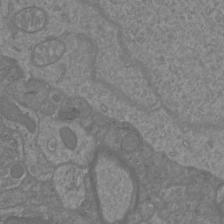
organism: Mouse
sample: Cortical neurons